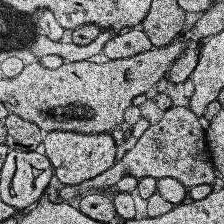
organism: Human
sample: Temporal Lobe